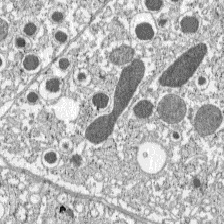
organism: C57BL Mouse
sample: Pancreatic islet